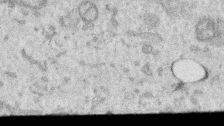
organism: Human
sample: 1205lu cells